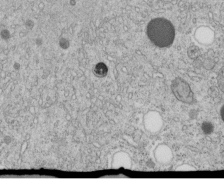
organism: C. elegans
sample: C. elegans embryo early stage